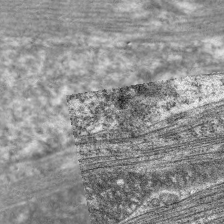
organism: C. elegans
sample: Pharynx